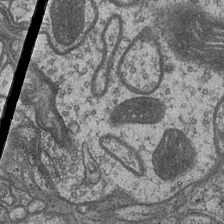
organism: Drosophila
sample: Optic medulla